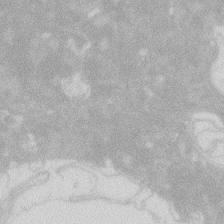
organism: Zebrafish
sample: Macrophage